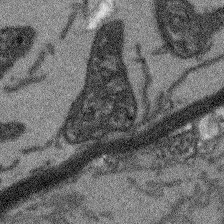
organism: Arabidopsis thaliana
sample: Root tip